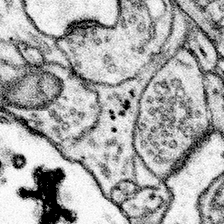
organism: Mouse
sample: Somatosensory cortex neuropil